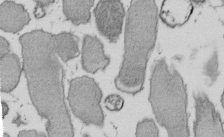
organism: E. coli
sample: Bacterial nucleoid